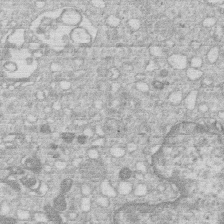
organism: Human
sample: Macrophage cells